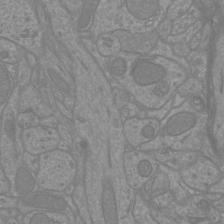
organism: Mouse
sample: Cortical neurons